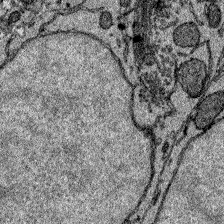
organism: Zebrafish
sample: Larval olfactory bulb